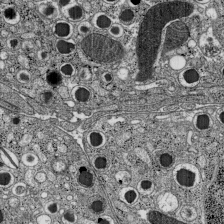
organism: C57BL Mouse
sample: Pancreatic islet